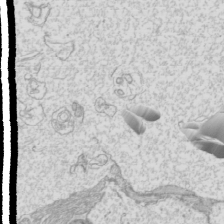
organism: Mouse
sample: Cilia; mouse epididymis